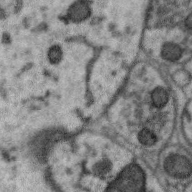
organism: Zebra finch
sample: Brain